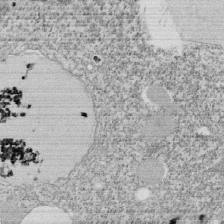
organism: Tetrahymena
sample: Cilia in tetrahymena